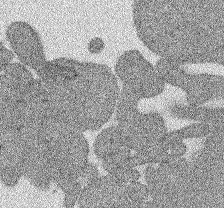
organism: Human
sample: HeLa cells